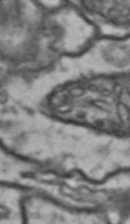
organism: Drosophila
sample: Brain